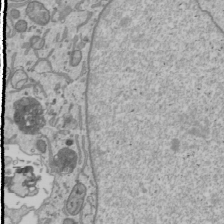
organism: Human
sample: Mitochondria in U2OS cells